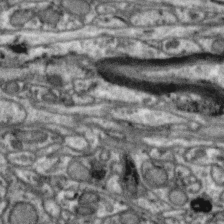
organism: Zebra finch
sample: Brain